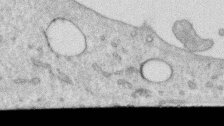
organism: Human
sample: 1205lu cells